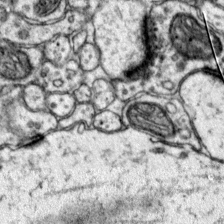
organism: Mouse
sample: Primary visual cortex